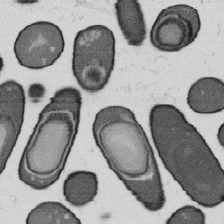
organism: B. subtilis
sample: Bacterial spore